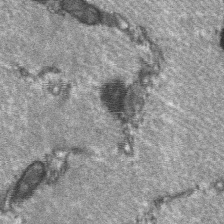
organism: C57BL Mouse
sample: Soleus